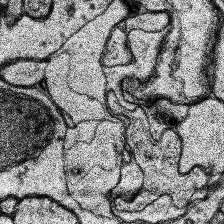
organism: Human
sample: Temporal Lobe